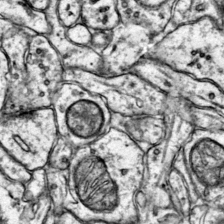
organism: Mouse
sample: Primary visual cortex